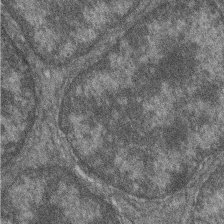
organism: Zebrafish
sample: Cilia; retinal pigment epithelium